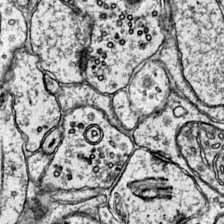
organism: Mouse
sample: Primary visual cortex